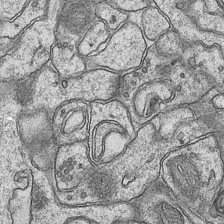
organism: Mouse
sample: CA1 Hippocampus